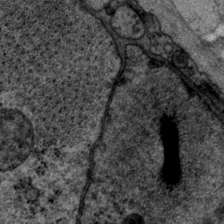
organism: P. pacificus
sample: Pharynx